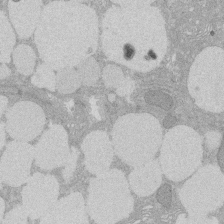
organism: Rat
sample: Salivary granule